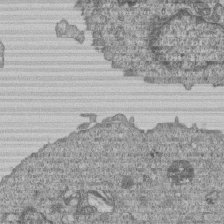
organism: Human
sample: MDA-MB-231 cells